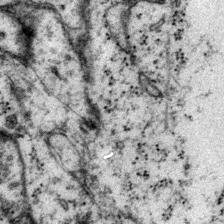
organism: Mouse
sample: Primary visual cortex